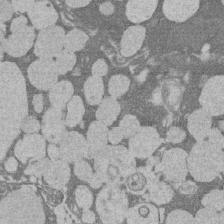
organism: Rat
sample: Salivary granule